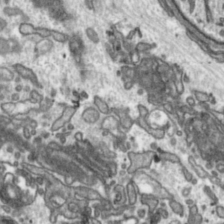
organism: Toxoplasma gondii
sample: Parasites in a vacuole inside a host cell